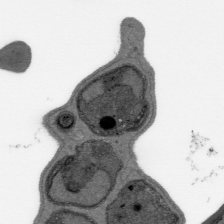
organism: Plasmodium falciparum